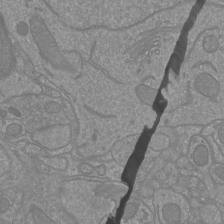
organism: Mouse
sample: Cortical neurons